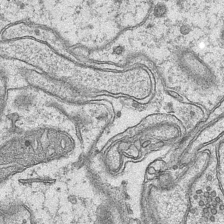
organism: Mouse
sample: CA1 Hippocampus